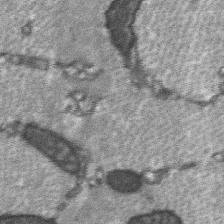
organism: C57BL Mouse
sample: Soleus